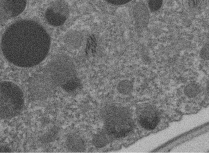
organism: C. elegans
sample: C. elegans embryo early stage